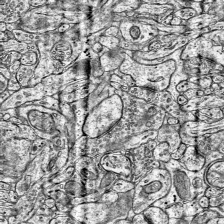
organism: Mouse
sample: Visual Cortex